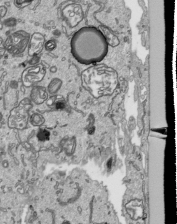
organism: Human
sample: Mitochondria in HCT116 cells